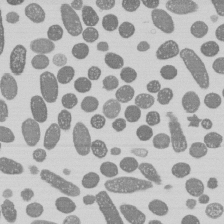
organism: E. coli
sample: Bacterial nucleoid